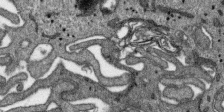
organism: Human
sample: Lung epithelial cells, uninfected (mock) control